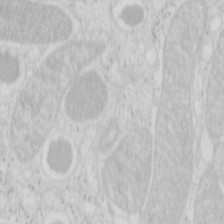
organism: Mouse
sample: Pancreas